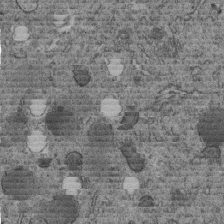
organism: C. elegans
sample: C. elegans embryo early stage